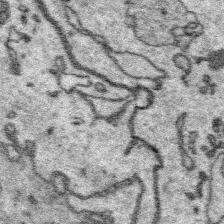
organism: Platynereis dumerilii